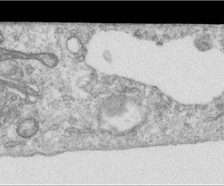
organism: Human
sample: Centriole in RPE cells